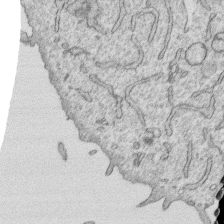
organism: Human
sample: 1205lu cells